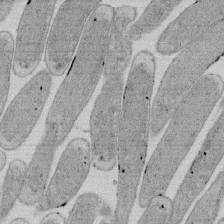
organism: E. coli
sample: Bacterial nucleoid